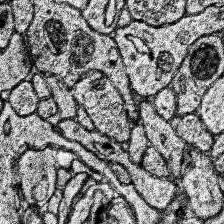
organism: Human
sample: Temporal Lobe